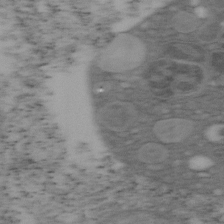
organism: Mouse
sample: OT-I killer T cells with ID8 ovarian cancer cells